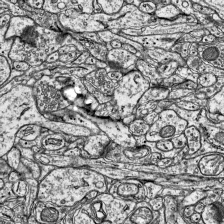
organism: Mouse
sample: Visual Cortex